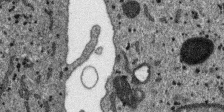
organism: Human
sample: Lung epithelial cells infected with SARS-CoV-2